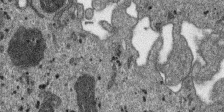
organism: Human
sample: Lung epithelial cells infected with SARS-CoV-2